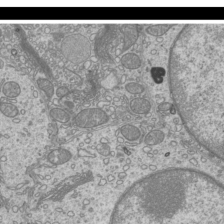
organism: Mouse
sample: Cilia; mouse epididymis